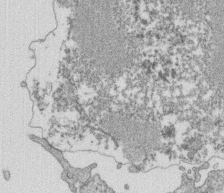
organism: Human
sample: HeLa cell HIV synapse